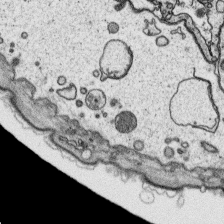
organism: Platynereis dumerilii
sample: Parapodia